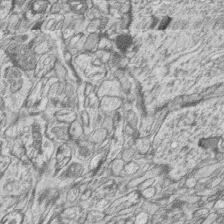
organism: Zebrafish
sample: synaptic ribbons in rod cells and cone cells